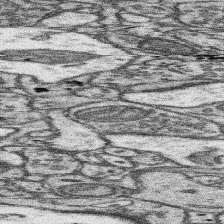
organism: Mouse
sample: Somatosensory cortex neuropil